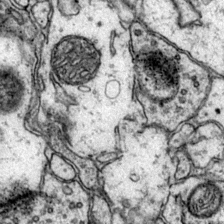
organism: Mouse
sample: Primary visual cortex